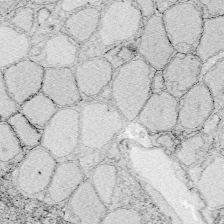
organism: Zebrafish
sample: Whole-Brain